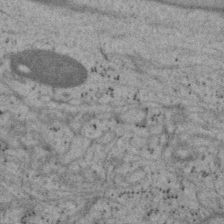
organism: Human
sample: HeLa cells